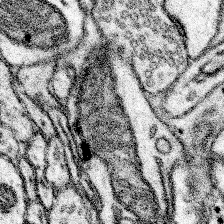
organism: Mouse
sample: Somatosensory cortex neuropil